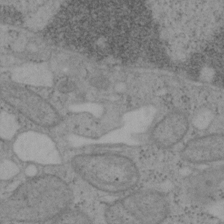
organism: Mouse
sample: OT-I killer T cells with ID8 ovarian cancer cells